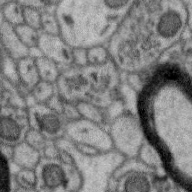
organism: Zebra finch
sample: Brain